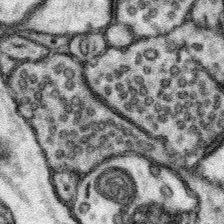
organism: Mouse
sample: Somatosensory cortex neuropil